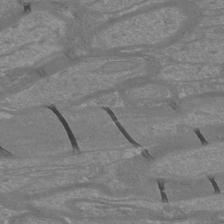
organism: Mouse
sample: Cortical neurons